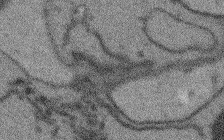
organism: Arabidopsis thaliana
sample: Root tip